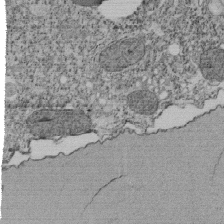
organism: Tetrahymena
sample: Cilia in tetrahymena